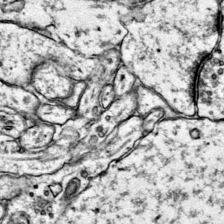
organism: Mouse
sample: Primary visual cortex